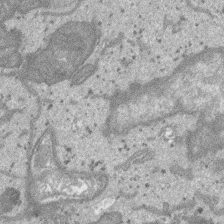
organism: Human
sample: Lung epithelial cells infected with SARS-CoV-2